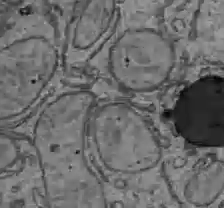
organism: C57BL Mouse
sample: Liver